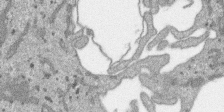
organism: Human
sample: Lung epithelial cells infected with SARS-CoV-2